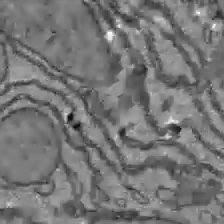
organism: C57BL Mouse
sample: Liver